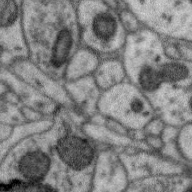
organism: Zebra finch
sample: Brain